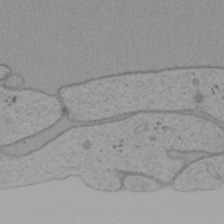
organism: Human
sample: HeLa cells